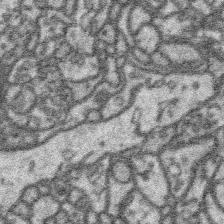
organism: Platynereis dumerilii